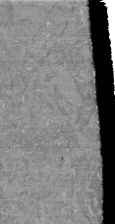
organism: Mouse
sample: Glomerulus